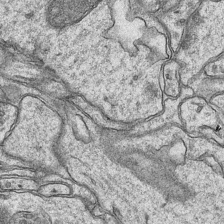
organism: Mouse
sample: CA1 Hippocampus